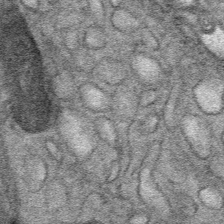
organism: Mouse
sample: Mouse Salivary gland